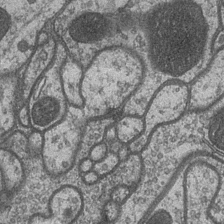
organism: Drosophila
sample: Optic medulla